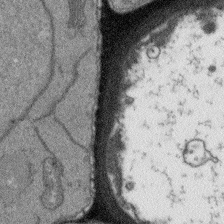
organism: Arabidopsis thaliana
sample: Root tip